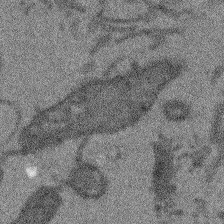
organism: Arabidopsis thaliana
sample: Root tip